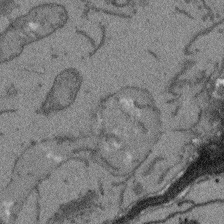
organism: Arabidopsis thaliana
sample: Root tip